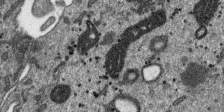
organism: Human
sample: Lung epithelial cells infected with SARS-CoV-2